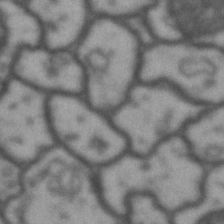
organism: Drosophila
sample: Brain